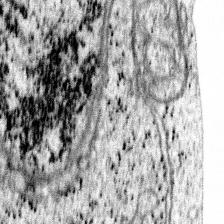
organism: Human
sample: HeLa cells